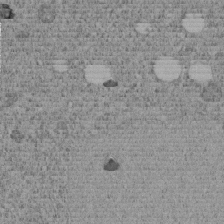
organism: C. elegans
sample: C. elegans embryo early stage